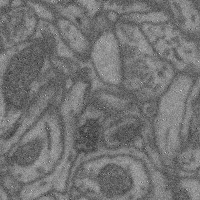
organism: Mouse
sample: Cerebral cortex